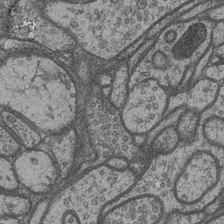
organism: Drosophila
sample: Optic medulla